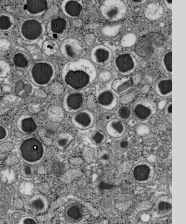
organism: C57BL Mouse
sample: Pancreatic islet